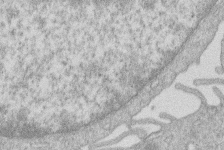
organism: Human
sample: Macrophage cells